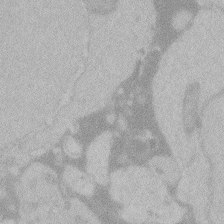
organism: Zebrafish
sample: Macrophage infected with Toxoplasma gondii